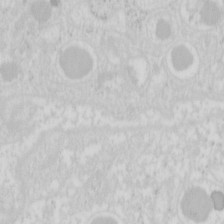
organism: Mouse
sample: Pancreas